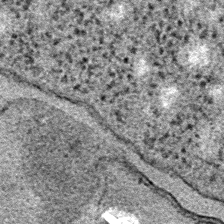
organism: E. coli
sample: E. Coli Bacteria